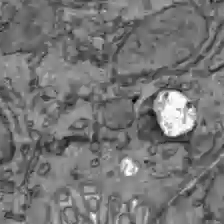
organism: C57BL Mouse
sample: Liver